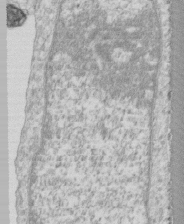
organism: Human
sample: CRL-1474